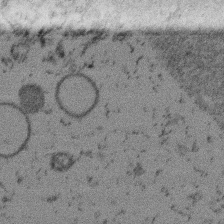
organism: Mouse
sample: Dividing mouse embryo 1 cell stage